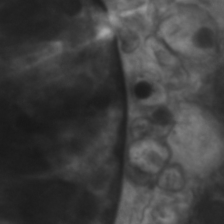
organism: C. elegans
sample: Pharynx